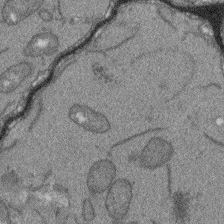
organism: Arabidopsis thaliana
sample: Root tip